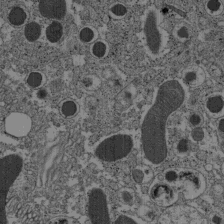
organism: C57BL Mouse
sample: Pancreatic islet